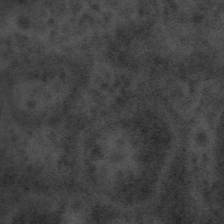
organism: Tuwongella immobilis